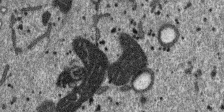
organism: Human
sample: Lung epithelial cells infected with SARS-CoV-2